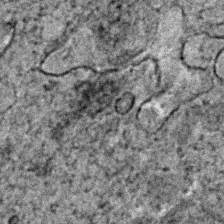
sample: Trachea